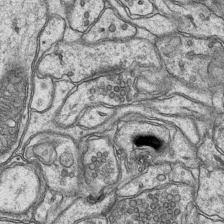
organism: Mouse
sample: CA1 Hippocampus